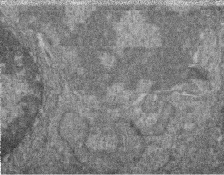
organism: Zebrafish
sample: Cilia; retinal pigment epithelium